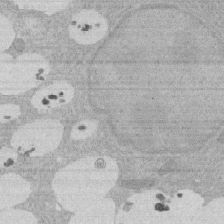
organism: Rat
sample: Salivary granule